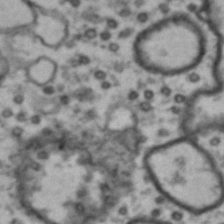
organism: Drosophila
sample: Brain